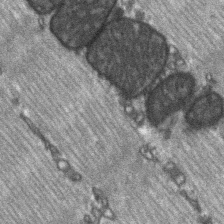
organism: C57BL Mouse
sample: Soleus